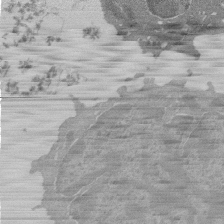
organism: Mouse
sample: Activated Pmel transgenic CD8+ T Cells